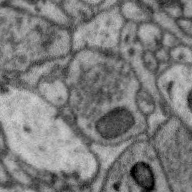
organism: Zebra finch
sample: Brain